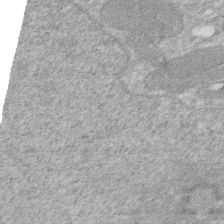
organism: Human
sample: HIV infected U937 cells